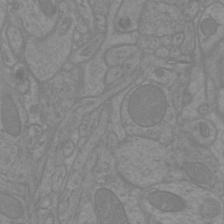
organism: Mouse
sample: Cortical neurons